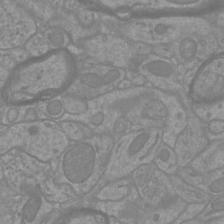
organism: Mouse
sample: Cortical neurons